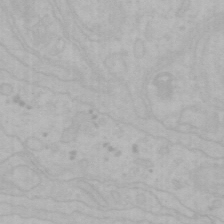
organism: Mouse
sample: Choroid plexus